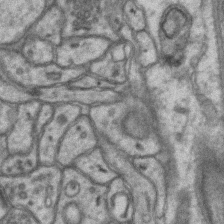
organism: Mouse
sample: CA1 Hippocampus